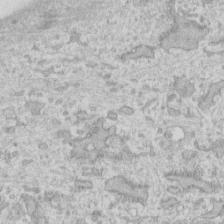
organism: Human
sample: Fibroblast cells